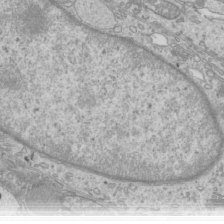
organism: Mouse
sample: Cilia; mouse epididymis